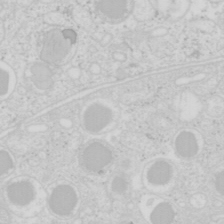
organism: Mouse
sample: Pancreas